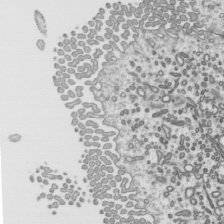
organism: Mouse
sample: Mouse epididymis efferent ductule cilia